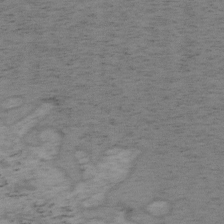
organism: Mouse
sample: OT-I killer T cells with ID8 ovarian cancer cells